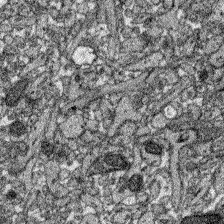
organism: Zebrafish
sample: Larval olfactory bulb